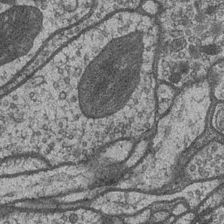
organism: Drosophila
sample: Optic medulla